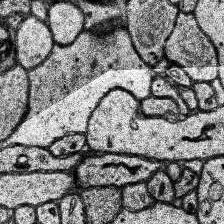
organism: Human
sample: Temporal Lobe